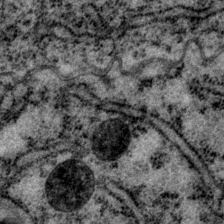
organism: P. pacificus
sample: Pharynx